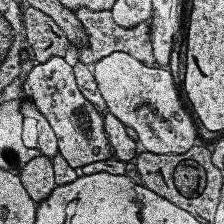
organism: Human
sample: Temporal Lobe